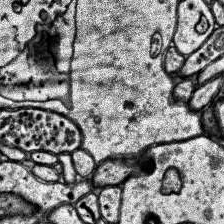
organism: Human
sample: Temporal Lobe